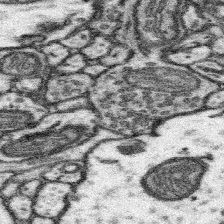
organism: Mouse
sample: Somatosensory cortex neuropil